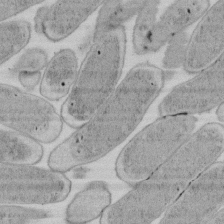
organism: E. coli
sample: Bacterial nucleoid